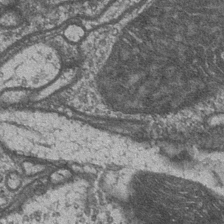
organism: Drosophila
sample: Optic medulla